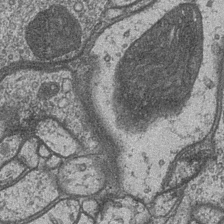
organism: Drosophila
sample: Optic medulla